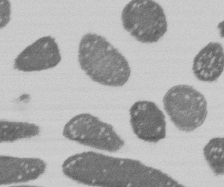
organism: E. coli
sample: Bacterial nucleoid